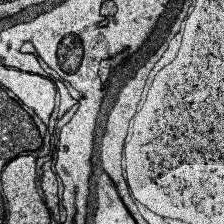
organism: Human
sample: Temporal Lobe